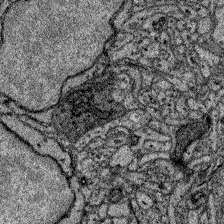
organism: Zebrafish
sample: Larval olfactory bulb